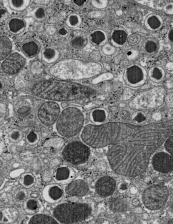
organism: C57BL Mouse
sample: Pancreatic islet